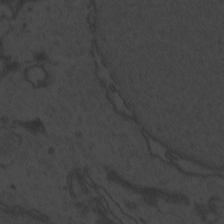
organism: Zebrafish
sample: Macrophage infected with Toxoplasma gondii